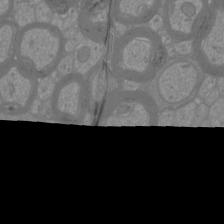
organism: Mouse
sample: Cortical neurons